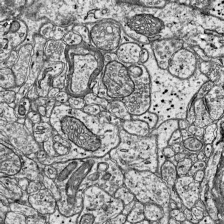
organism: Mouse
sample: Visual Cortex